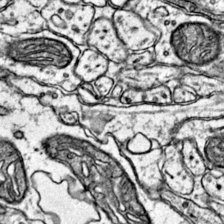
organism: Mouse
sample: Primary visual cortex